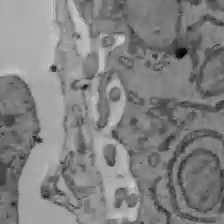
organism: C57BL Mouse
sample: Liver